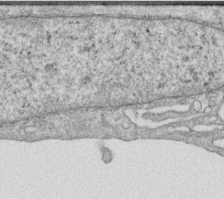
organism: Human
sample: Centriole in RPE cells